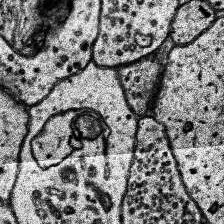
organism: Human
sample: Temporal Lobe